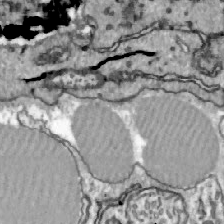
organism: Zebrafish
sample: Actinotrichia fibers